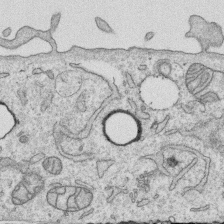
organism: Human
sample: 1205lu cells